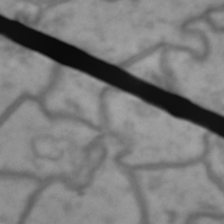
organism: Drosophila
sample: Brain